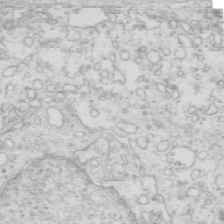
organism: Mouse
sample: Multiciliated cells